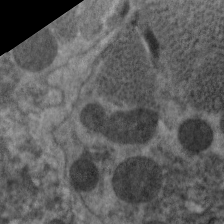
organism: C. elegans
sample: Pharynx